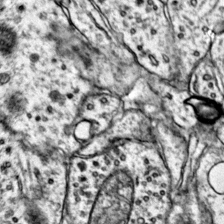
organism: Mouse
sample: Primary visual cortex